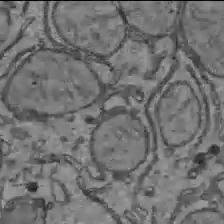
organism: C57BL Mouse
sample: Liver